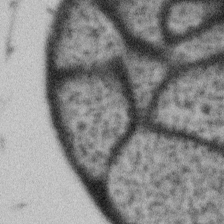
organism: Gemmata obscuriglobus